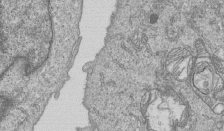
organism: Human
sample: MDA-MB-231 cells